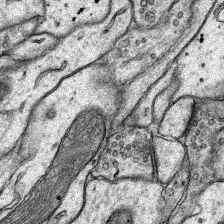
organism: Rat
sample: Hippocampus